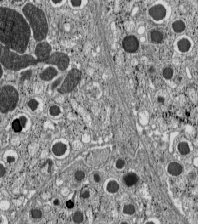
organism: C57BL Mouse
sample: Pancreatic islet